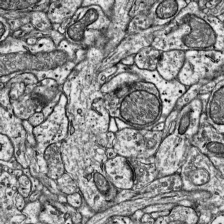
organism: Mouse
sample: Visual Cortex